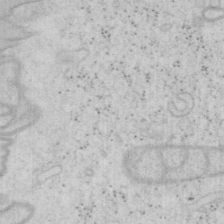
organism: Human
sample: HeLa cells